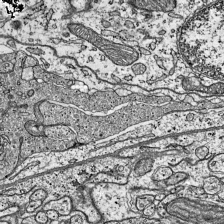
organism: Mouse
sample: Visual Cortex